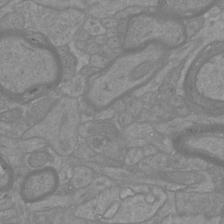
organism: Mouse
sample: Cortical neurons